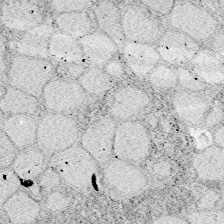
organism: Zebrafish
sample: Whole-Brain